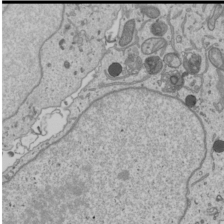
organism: Human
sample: Mitochondria in U2OS cells